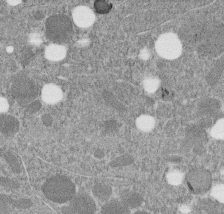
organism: C. elegans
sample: C. elegans embryo early stage